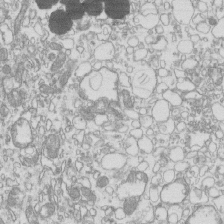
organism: Mouse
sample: Macrophages